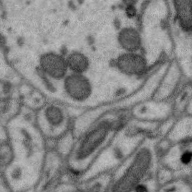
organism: Zebra finch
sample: Brain